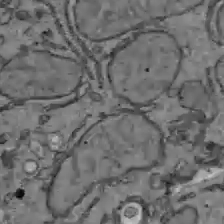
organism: C57BL Mouse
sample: Liver